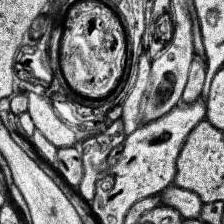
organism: Human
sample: Temporal Lobe